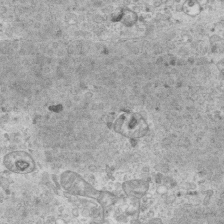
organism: Mouse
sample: Centriole in ependymal cells